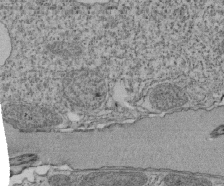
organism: Tetrahymena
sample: Cilia in tetrahymena